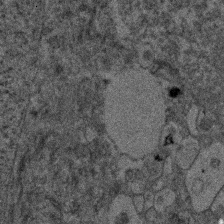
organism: Human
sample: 1205lu cells